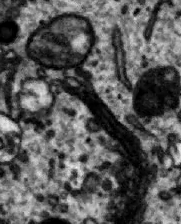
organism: Human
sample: HeLa cells